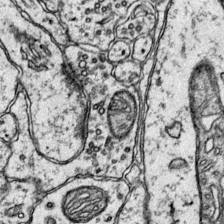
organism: Mouse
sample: Primary visual cortex